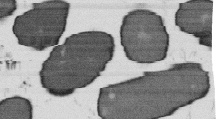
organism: B. subtilis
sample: Bacterial spore